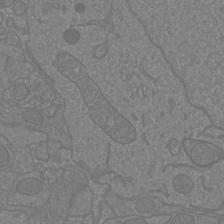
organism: Mouse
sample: Cortical neurons